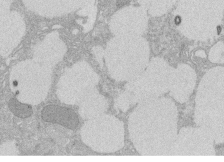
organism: Rat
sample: Salivary granule